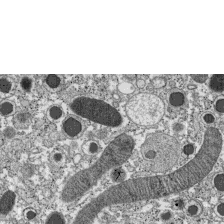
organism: C57BL Mouse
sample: Pancreatic islet